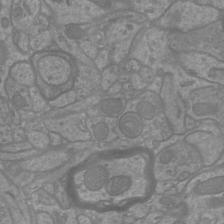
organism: Mouse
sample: Cortical neurons